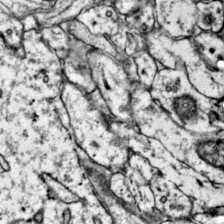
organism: Mouse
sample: Primary visual cortex